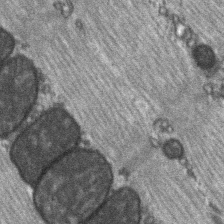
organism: C57BL Mouse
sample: Soleus